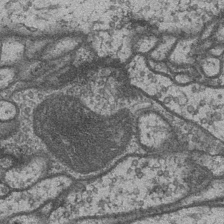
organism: Drosophila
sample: Optic medulla